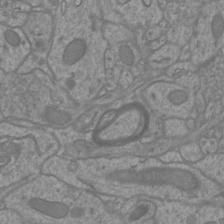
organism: Mouse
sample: Cortical neurons